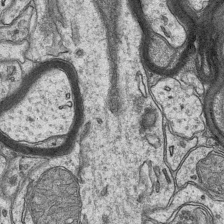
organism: Mouse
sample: CA1 Hippocampus